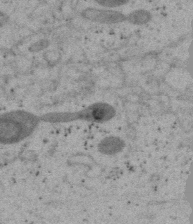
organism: Human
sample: HeLa cells